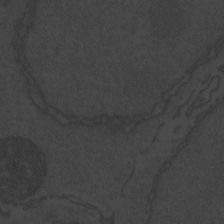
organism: Zebrafish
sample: Macrophage infected with Toxoplasma gondii